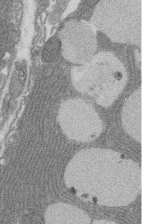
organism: Rat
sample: Salivary granule